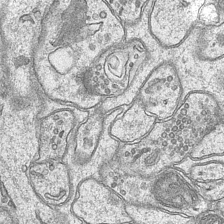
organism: Mouse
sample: CA1 Hippocampus